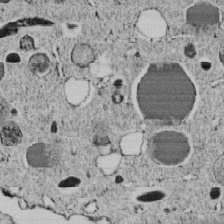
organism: C. elegans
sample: C. elegans embryo early stage